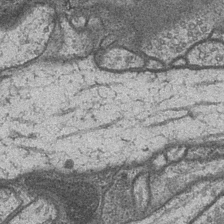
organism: Drosophila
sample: Optic medulla